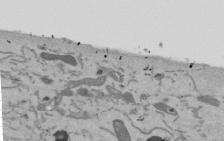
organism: Mouse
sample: ED-1 cell nuclei; centrioles